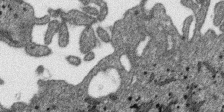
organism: Human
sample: Lung epithelial cells infected with SARS-CoV-2